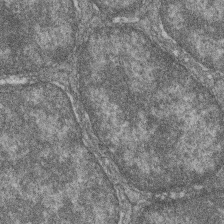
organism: Zebrafish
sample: Cilia; retinal pigment epithelium